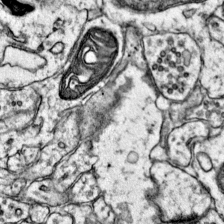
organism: Mouse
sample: Primary visual cortex